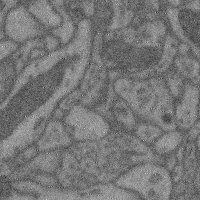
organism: Mouse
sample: Cerebral cortex